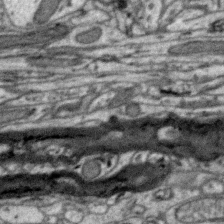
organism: Zebra finch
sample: Brain